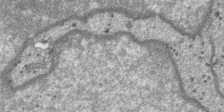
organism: Human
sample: Lung epithelial cells infected with SARS-CoV-2